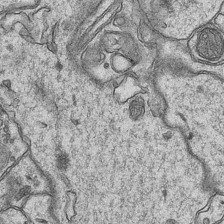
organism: Mouse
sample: CA1 Hippocampus